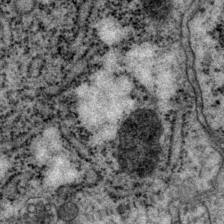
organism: P. pacificus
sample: Pharynx